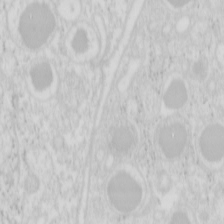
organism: Mouse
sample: Pancreas